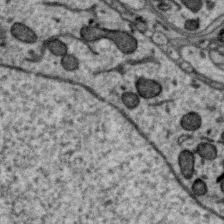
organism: Zebra finch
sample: Brain